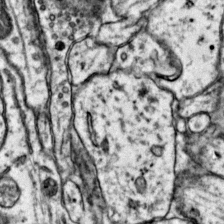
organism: Mouse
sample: Primary visual cortex